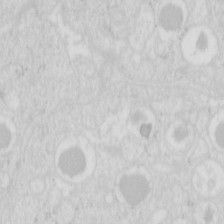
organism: Mouse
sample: Pancreas